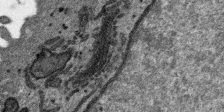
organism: Human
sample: Lung epithelial cells, uninfected (mock) control